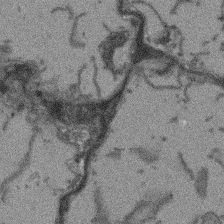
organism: Arabidopsis thaliana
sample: Root tip